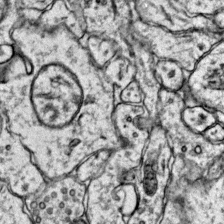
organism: Mouse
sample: Primary visual cortex